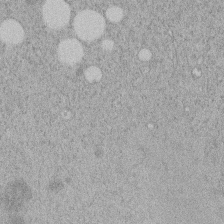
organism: C. elegans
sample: C. elegans embryo early stage